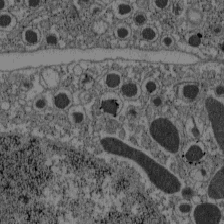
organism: C57BL Mouse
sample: Pancreatic islet